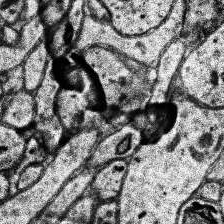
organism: Human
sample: Temporal Lobe